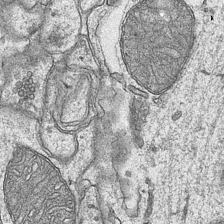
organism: Mouse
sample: CA1 Hippocampus